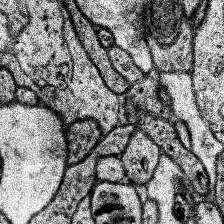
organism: Human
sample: Temporal Lobe